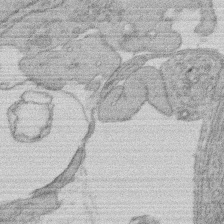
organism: Rat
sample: Salivary granule